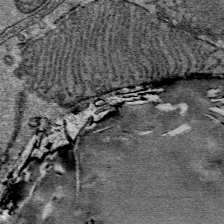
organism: Mouse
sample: Mouse Salivary gland